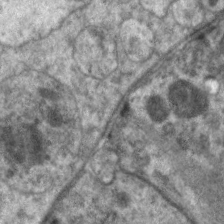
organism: C. elegans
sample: Pharynx